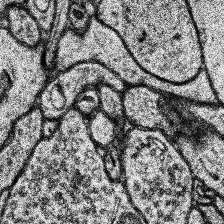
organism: Human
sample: Temporal Lobe